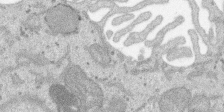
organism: Human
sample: Lung epithelial cells infected with SARS-CoV-2